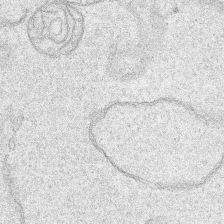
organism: Human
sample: Mitochondria in HCT116 cells